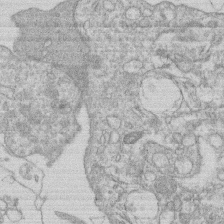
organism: Human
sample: Macrophage cells